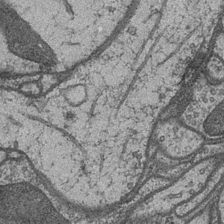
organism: Drosophila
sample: Optic medulla